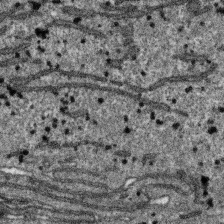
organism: Human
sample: Lung epithelial cells infected with SARS-CoV-2